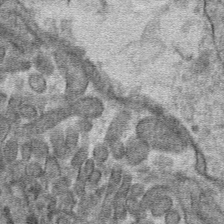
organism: Mouse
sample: Mouse hepatocytes